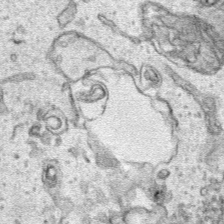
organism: Human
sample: Mitochondria in HCT116 cells